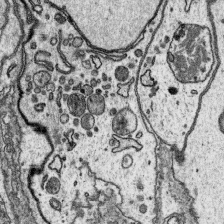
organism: Platynereis dumerilii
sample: Parapodia